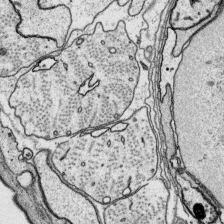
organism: Platynereis dumerilii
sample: Parapodia